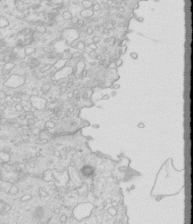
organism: Mouse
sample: Multiciliated cells